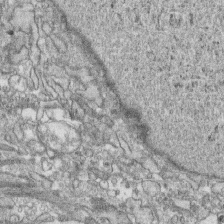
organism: Human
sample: CRL-1474